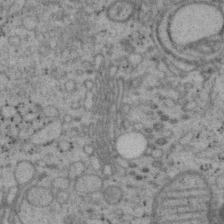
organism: Human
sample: HeLa cells